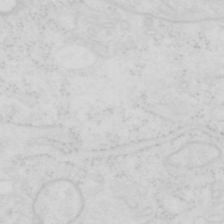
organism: Human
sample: SUM-159 cell